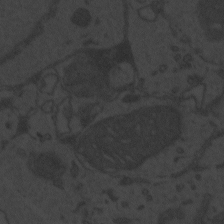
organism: Zebrafish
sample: Macrophage infected with Toxoplasma gondii